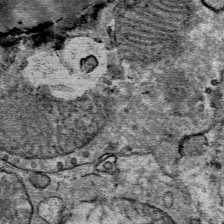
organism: Mouse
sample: Mouse Salivary gland